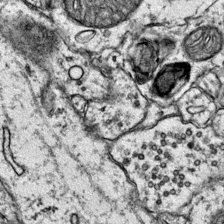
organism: Mouse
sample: Primary visual cortex